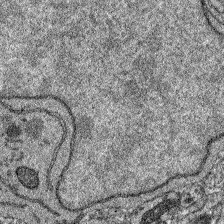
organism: Zebrafish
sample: Larval olfactory bulb